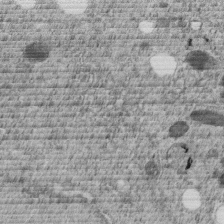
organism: C. elegans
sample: C. elegans embryo early stage